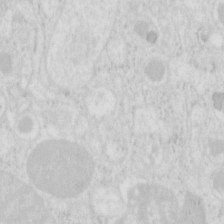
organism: Mouse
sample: Pancreas